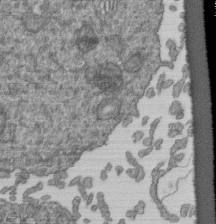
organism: Human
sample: Retinal organoid Rod and Cone cells